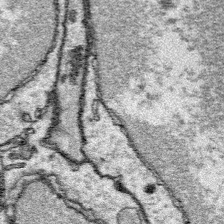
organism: Platynereis dumerilii